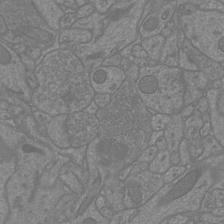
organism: Mouse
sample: Cortical neurons